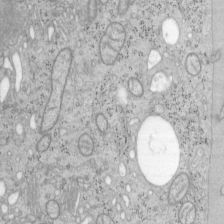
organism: Mouse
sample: OT-I killer T cells with ID8 ovarian cancer cells